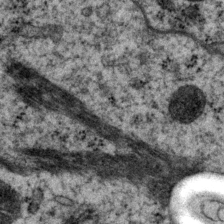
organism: P. pacificus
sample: Pharynx